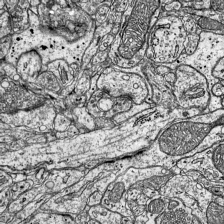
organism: Mouse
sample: Visual Cortex